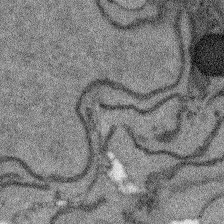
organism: Arabidopsis thaliana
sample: Root tip